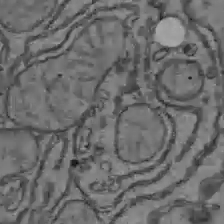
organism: C57BL Mouse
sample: Liver